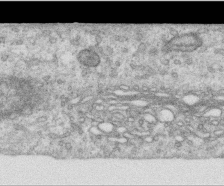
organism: Human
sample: Centriole in RPE cells